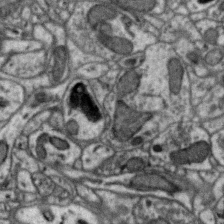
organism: Zebra finch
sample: Brain